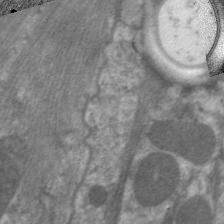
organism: C. elegans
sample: Pharynx